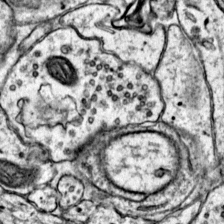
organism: Mouse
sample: Primary visual cortex